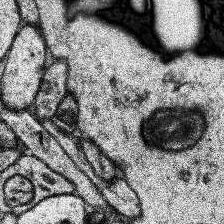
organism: Human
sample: Temporal Lobe